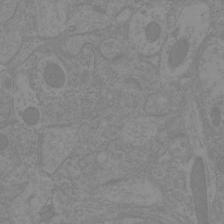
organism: Mouse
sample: Cortical neurons